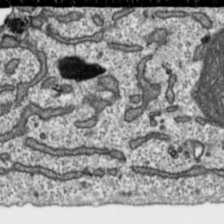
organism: Toxoplasma gondii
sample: Parasites in a vacuole inside a host cell